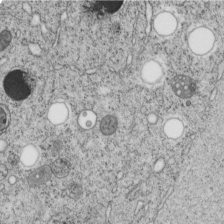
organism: C. elegans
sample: C. elegans embryo early stage